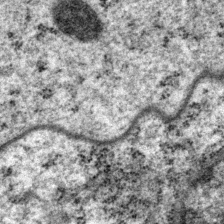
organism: P. pacificus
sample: Pharynx